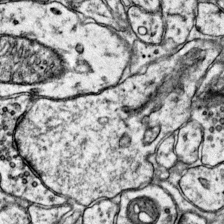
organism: Mouse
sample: Primary visual cortex